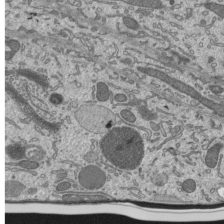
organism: Mouse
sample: Mouse epididymis efferent ductule cilia